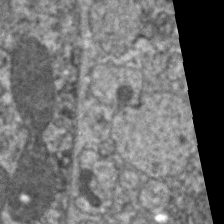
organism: C. elegans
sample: Pharynx